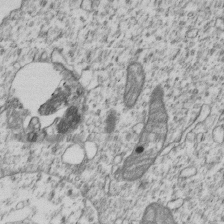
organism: Human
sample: MDA-MB-231 cells